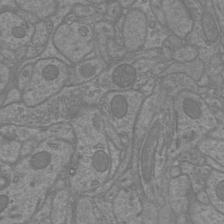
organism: Mouse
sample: Cortical neurons